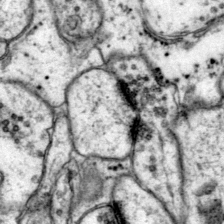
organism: Mouse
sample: Primary visual cortex